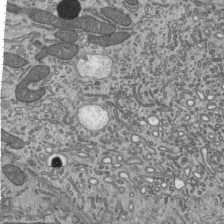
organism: Mouse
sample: Mouse epididymis efferent ductule cilia